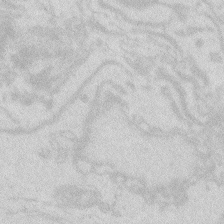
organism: Zebrafish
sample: Macrophage